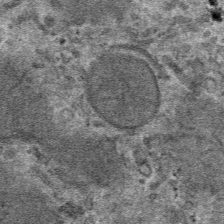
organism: Mouse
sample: Mouse hepatocytes